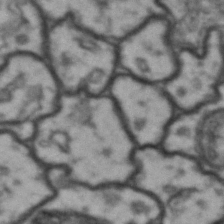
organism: Drosophila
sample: Brain